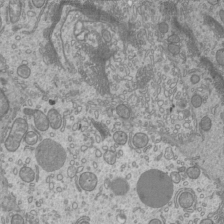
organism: Mouse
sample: Cilia; mouse epididymis